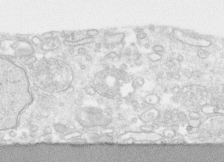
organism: Human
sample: CRL-1474